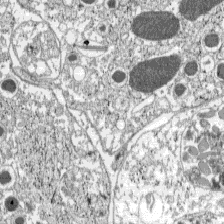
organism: C57BL Mouse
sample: Pancreatic islet